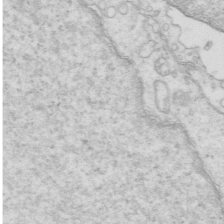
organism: Mouse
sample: Multiciliated cells